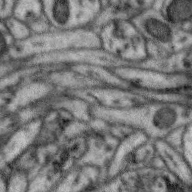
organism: Zebra finch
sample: Brain